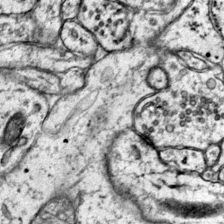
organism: Mouse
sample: Primary visual cortex